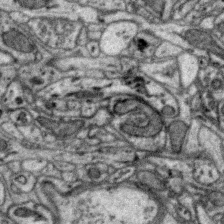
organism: Zebra finch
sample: Brain